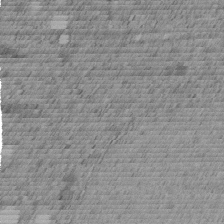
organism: C. elegans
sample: C. elegans embryo early stage